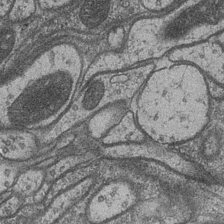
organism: Drosophila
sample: Optic medulla